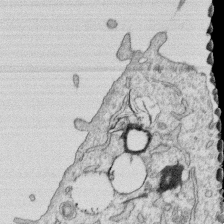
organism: Human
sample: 1205lu cells